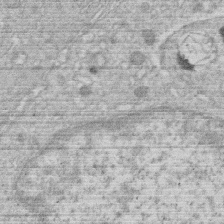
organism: Human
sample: Macrophage cells